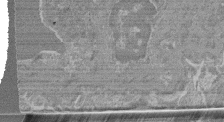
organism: Mouse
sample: Glomerulus